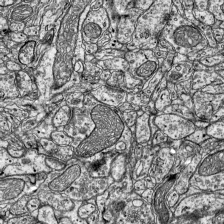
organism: Mouse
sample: Visual Cortex